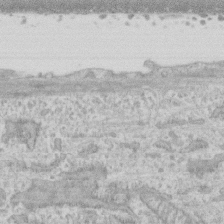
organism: Human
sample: CRL-1474